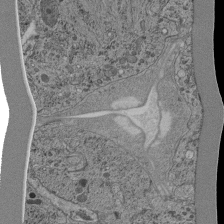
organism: C. elegans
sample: C. elegans pharynx